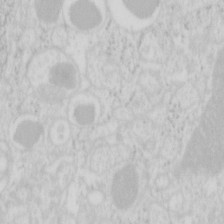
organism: Mouse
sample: Pancreas